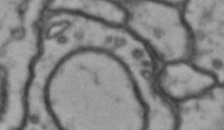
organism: Drosophila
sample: Brain